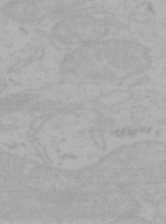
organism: Mouse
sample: Choroid plexus